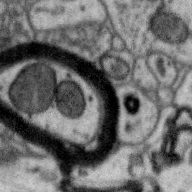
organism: Zebra finch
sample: Brain